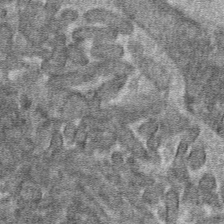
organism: Mouse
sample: Mouse hepatocytes